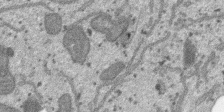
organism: Human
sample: Lung epithelial cells infected with SARS-CoV-2